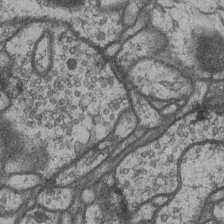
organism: Drosophila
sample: Optic medulla